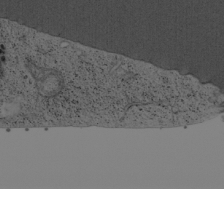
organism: African green monkey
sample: COS-7 cells